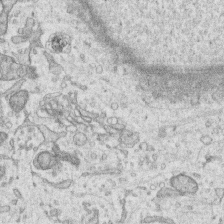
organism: Human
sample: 1205lu cells